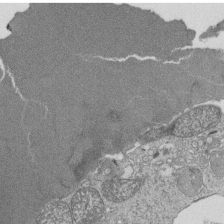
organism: Tetrahymena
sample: Cilia in tetrahymena